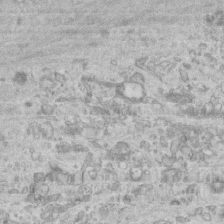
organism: Mouse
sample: Centriole in ependymal cells